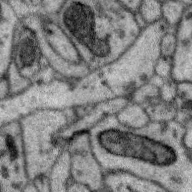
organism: Zebra finch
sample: Brain